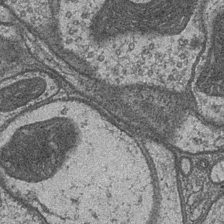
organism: Drosophila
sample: Optic medulla